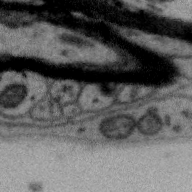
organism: Zebra finch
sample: Brain